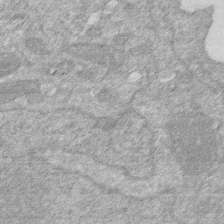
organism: Human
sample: HIV infected U937 cells